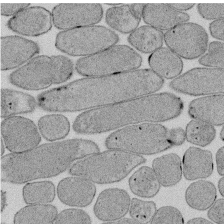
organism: E. coli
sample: Bacterial nucleoid